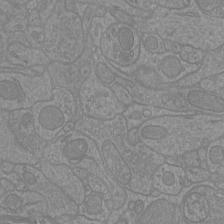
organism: Mouse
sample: Cortical neurons